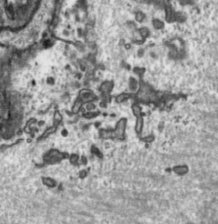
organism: Toxoplasma gondii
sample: Parasites in a vacuole inside a host cell